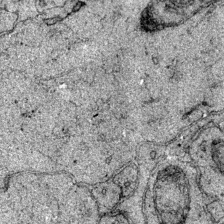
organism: Mouse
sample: Primary visual cortex